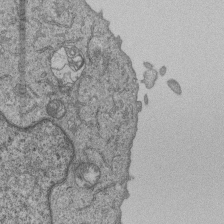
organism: Human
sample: MDA-MB-231 cells